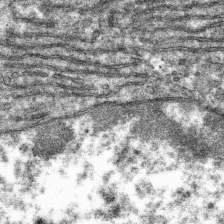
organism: Mouse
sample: Mouse hepatocytes